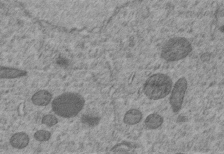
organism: C. elegans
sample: C. elegans embryo early stage